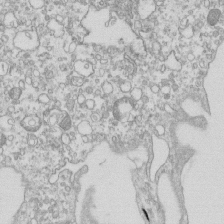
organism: Mouse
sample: Macrophages